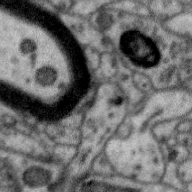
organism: Zebra finch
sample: Brain